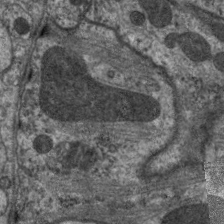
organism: C. elegans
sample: Pharynx